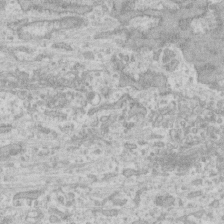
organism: Human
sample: CRL-1474